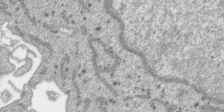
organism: Human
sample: Lung epithelial cells infected with SARS-CoV-2